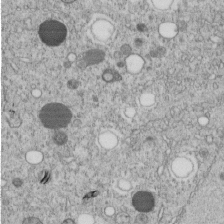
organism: C. elegans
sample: C. elegans embryo early stage